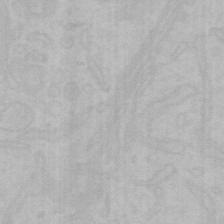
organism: Mouse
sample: Choroid plexus